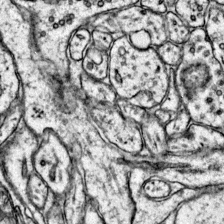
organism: Mouse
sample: Primary visual cortex